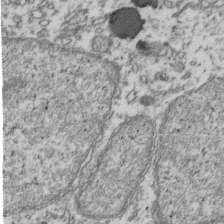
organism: Human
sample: Activated Jurkat CD4+ T cells